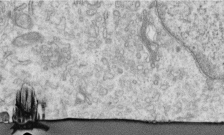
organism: Human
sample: Centriole in RPE cells